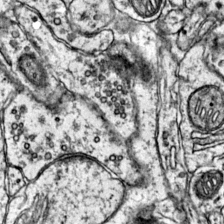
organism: Mouse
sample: Primary visual cortex